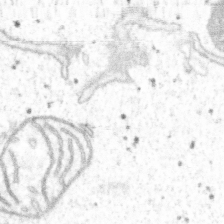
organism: Human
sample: HeLa cells